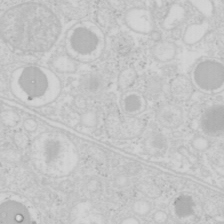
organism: Mouse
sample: Pancreas